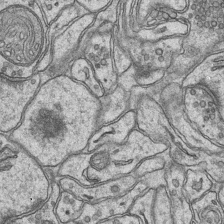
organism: Mouse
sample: CA1 Hippocampus